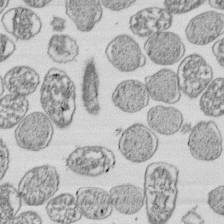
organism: E. coli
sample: Bacterial nucleoid